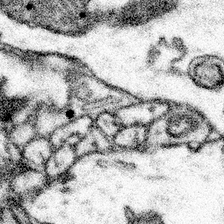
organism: Mouse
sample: Somatosensory cortex neuropil